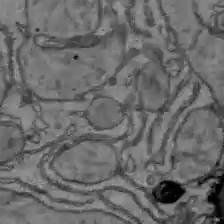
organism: C57BL Mouse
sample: Liver